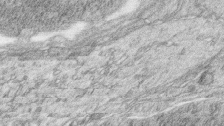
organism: Zebrafish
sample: synaptic ribbons in rod cells and cone cells